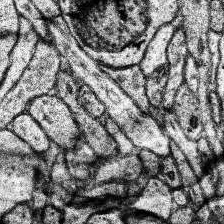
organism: Human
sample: Temporal Lobe